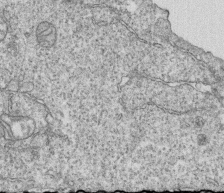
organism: Human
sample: HeLa cell HIV synapse